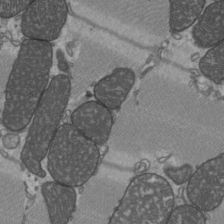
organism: C57BL Mouse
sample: Heart